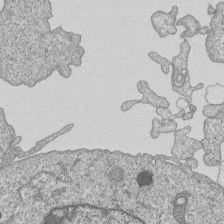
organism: Human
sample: MDA-MB-231 cells